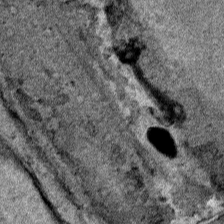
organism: Human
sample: Mitochondria in HCT116 cells